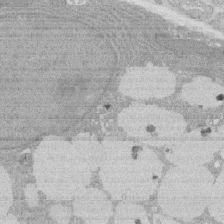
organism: Rat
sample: Salivary granule